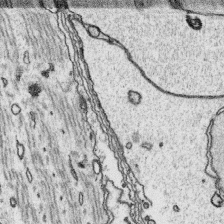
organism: Platynereis dumerilii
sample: Parapodia